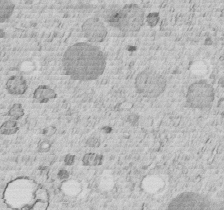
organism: C. elegans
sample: C. elegans embryo early stage